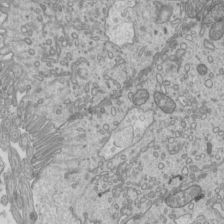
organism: Mouse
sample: Cilia; mouse epididymis